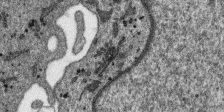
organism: Human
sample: Lung epithelial cells infected with SARS-CoV-2